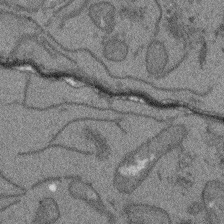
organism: Arabidopsis thaliana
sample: Root tip